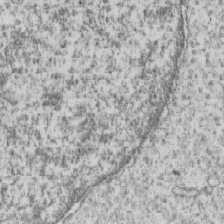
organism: Human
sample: MDA-MB-231 cells